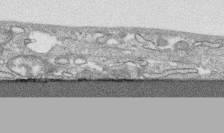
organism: Human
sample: CRL-1474